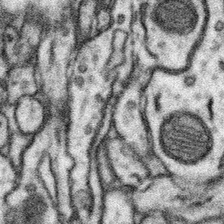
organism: Mouse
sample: Somatosensory cortex neuropil